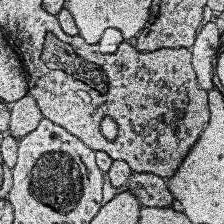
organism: Human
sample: Temporal Lobe